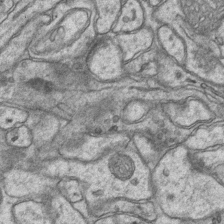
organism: Mouse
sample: CA1 Hippocampus